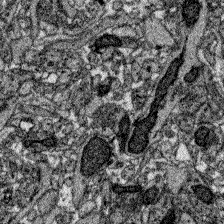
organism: Zebrafish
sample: Larval olfactory bulb